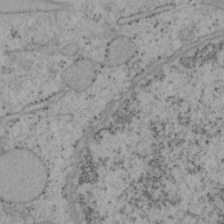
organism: Human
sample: HeLa cells